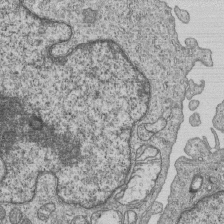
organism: Human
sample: MDA-MB-231 cells